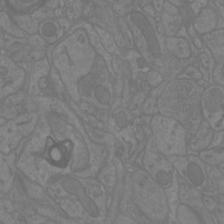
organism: Mouse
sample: Cortical neurons